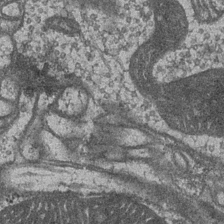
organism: Drosophila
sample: Optic medulla